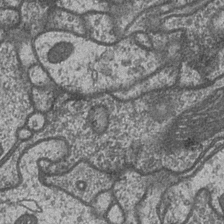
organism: Drosophila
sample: Optic medulla